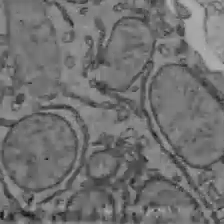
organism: C57BL Mouse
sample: Liver